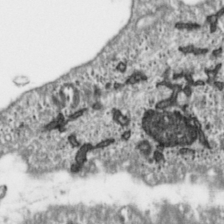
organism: Toxoplasma gondii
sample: Parasites in a vacuole inside a host cell